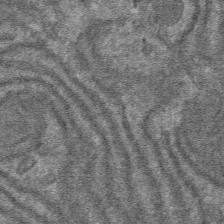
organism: Mouse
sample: Mouse hepatocytes